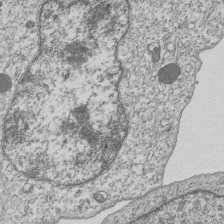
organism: Human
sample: MDA-MB-231 cells